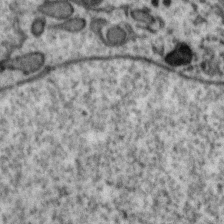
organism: Zebra finch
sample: Brain